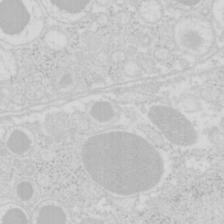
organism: Mouse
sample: Pancreas